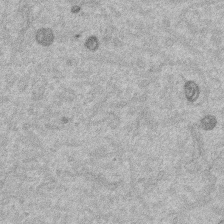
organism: Mouse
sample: Dividing mouse embryo 1 cell stage